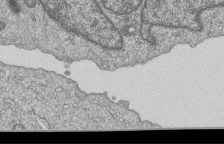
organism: Human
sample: MDA-MB-231 cells